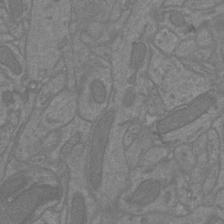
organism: Mouse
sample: Cortical neurons